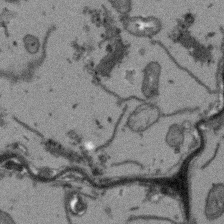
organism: Arabidopsis thaliana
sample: Root tip